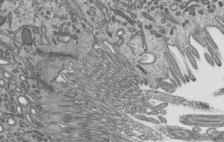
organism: Mouse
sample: Mouse epididymis efferent ductule cilia